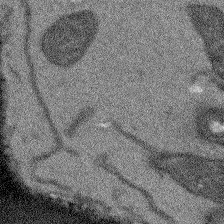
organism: Arabidopsis thaliana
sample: Root tip